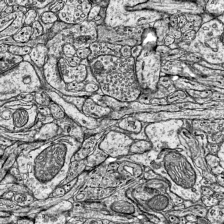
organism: Mouse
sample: Visual Cortex